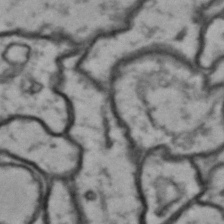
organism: Drosophila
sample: Brain